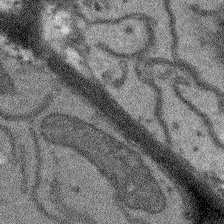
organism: Arabidopsis thaliana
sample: Root tip